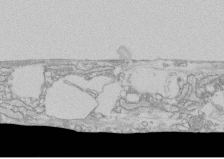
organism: Human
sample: CRL-1474